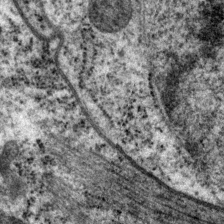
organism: P. pacificus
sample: Pharynx